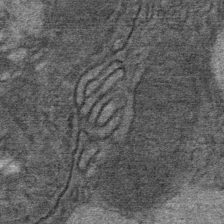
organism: Mouse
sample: Mouse Salivary gland